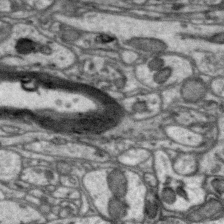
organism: Zebra finch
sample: Brain